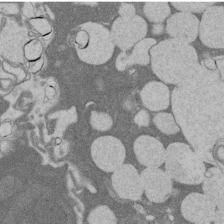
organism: Rat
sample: Salivary granule